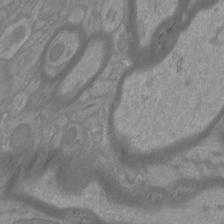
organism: Mouse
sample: Cortical neurons